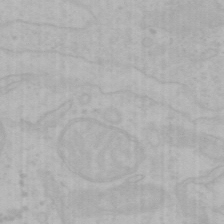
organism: Mouse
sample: Choroid plexus